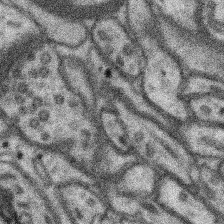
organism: Mouse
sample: Somatosensory cortex neuropil